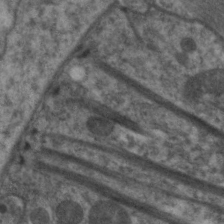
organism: C. elegans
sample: Pharynx